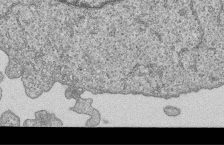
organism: Human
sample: MDA-MB-231 cells